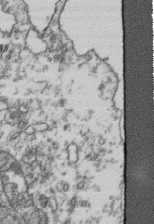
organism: Human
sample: Activated Jurkat CD4+ T cells